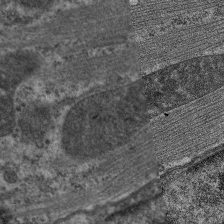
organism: C. elegans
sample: Pharynx